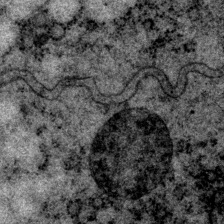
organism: P. pacificus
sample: Pharynx